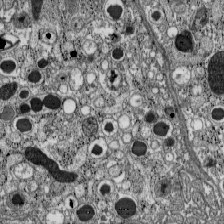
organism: C57BL Mouse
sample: Pancreatic islet